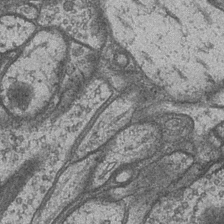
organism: Drosophila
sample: Optic medulla